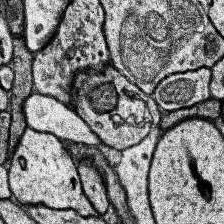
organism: Human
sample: Temporal Lobe